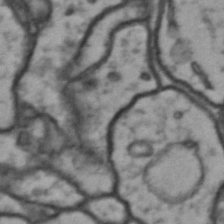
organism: Drosophila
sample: Brain